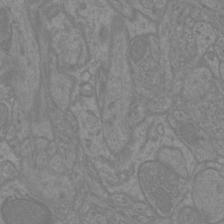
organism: Mouse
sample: Cortical neurons